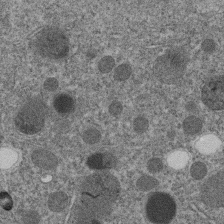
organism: C. elegans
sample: C. elegans embryo early stage